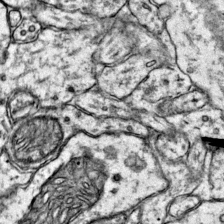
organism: Mouse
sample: Primary visual cortex